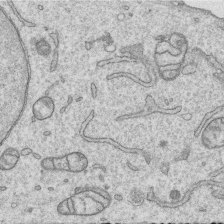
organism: Human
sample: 1205lu cells